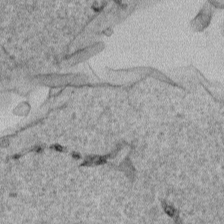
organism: Human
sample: Mitochondria in HCT116 cells